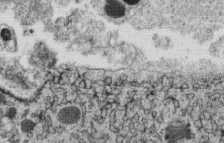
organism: C. elegans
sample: C. elegans oocyte; sperm cells